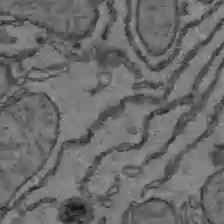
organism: C57BL Mouse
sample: Liver